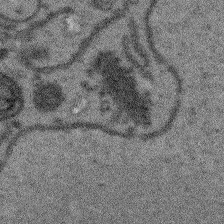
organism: Arabidopsis thaliana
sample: Root tip